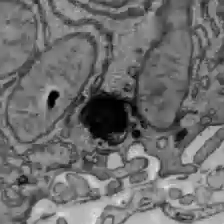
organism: C57BL Mouse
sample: Liver